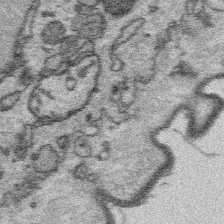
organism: Platynereis dumerilii